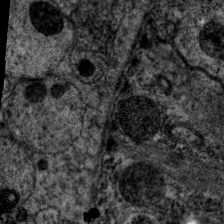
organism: C. elegans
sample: Pharynx